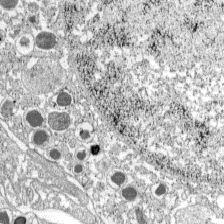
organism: C57BL Mouse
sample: Pancreatic islet